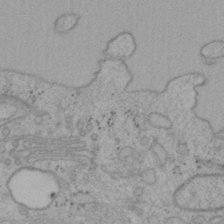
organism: Human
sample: HeLa cells